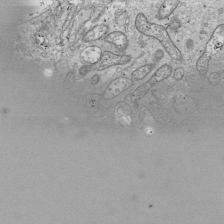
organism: Drosophila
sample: Cell division; meiosis; drosophila spermatocytes